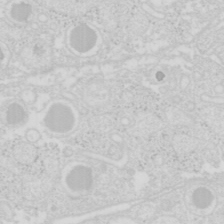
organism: Mouse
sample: Pancreas